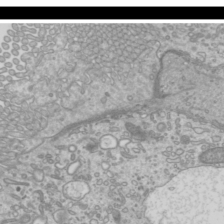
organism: Mouse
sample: Cilia; mouse epididymis